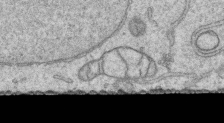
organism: Human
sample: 1205lu cells